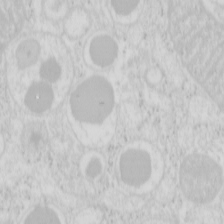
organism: Mouse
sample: Pancreas